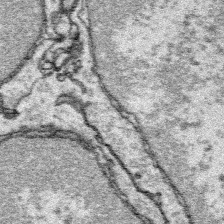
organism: Platynereis dumerilii